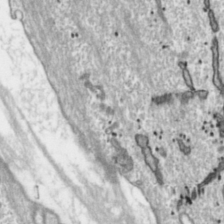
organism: Toxoplasma gondii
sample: Parasites in a vacuole inside a host cell